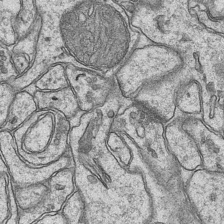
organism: Mouse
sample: CA1 Hippocampus